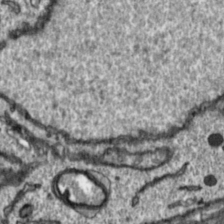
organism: Toxoplasma gondii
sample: Parasites in a vacuole inside a host cell